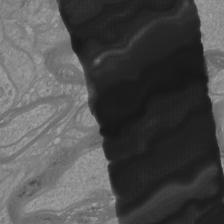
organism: Mouse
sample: Cortical neurons